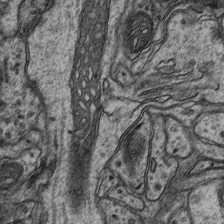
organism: Mouse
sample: CA1 Hippocampus